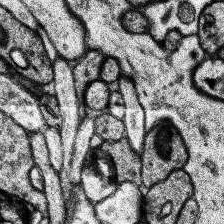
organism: Human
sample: Temporal Lobe